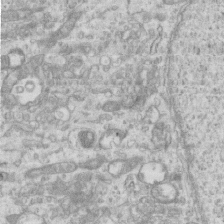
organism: Mouse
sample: Centriole in ependymal cells